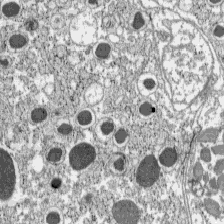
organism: C57BL Mouse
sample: Pancreatic islet